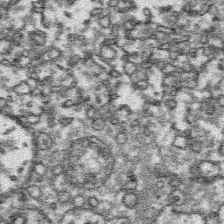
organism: Platynereis dumerilii